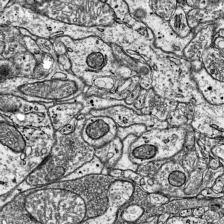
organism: Mouse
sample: Visual Cortex